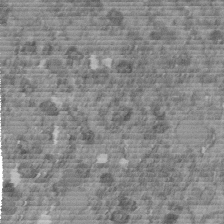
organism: C. elegans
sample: C. elegans embryo early stage